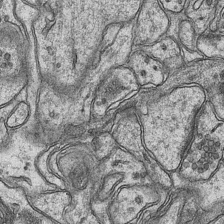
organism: Mouse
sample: CA1 Hippocampus